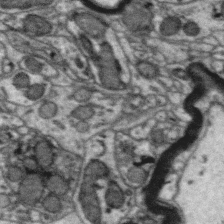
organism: Zebra finch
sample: Brain